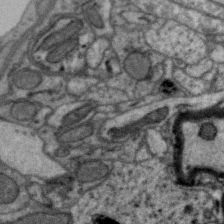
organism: Zebra finch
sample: Brain